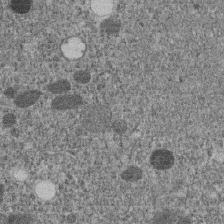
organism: C. elegans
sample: C. elegans embryo early stage